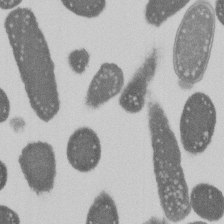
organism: E. coli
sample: Bacterial nucleoid